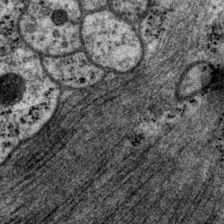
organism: P. pacificus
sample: Pharynx